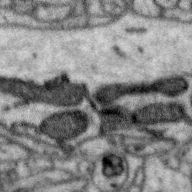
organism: Zebra finch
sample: Brain